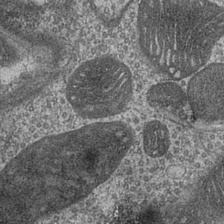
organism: Drosophila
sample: Optic medulla